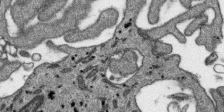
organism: Human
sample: Lung epithelial cells, uninfected (mock) control